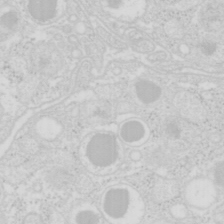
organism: Mouse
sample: Pancreas